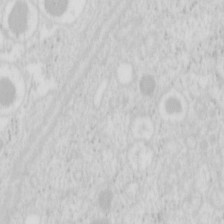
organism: Mouse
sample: Pancreas